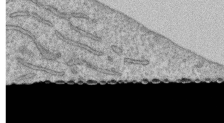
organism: Human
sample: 1205lu cells